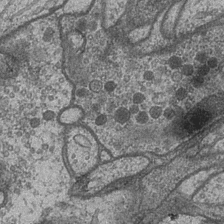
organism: Drosophila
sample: Optic medulla